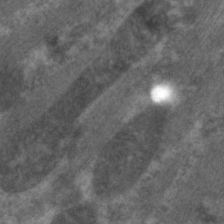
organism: C. elegans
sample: Pharynx